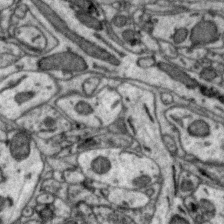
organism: Zebra finch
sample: Brain